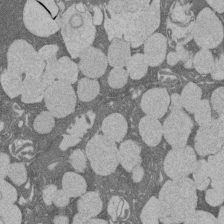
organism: Rat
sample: Salivary granule